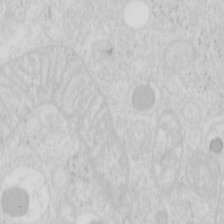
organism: Mouse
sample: Pancreas